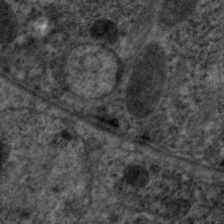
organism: C. elegans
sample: Pharynx